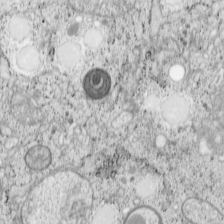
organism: African green monkey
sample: COS-7 cells